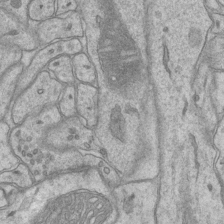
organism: Mouse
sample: CA1 Hippocampus